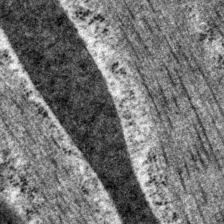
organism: P. pacificus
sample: Pharynx